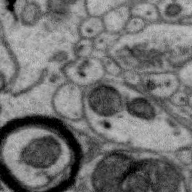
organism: Zebra finch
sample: Brain